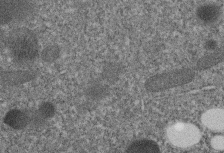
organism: C. elegans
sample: C. elegans embryo early stage